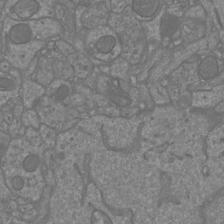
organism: Mouse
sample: Cortical neurons